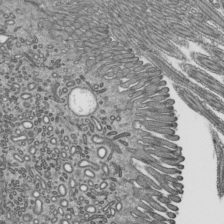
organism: Mouse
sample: Mouse epididymis efferent ductule cilia